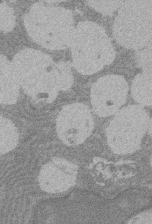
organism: Rat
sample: Salivary granule